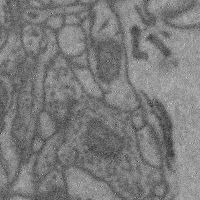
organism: Mouse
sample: Cerebral cortex